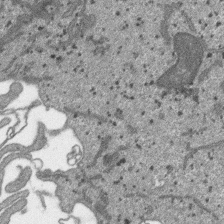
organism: Human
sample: Lung epithelial cells infected with SARS-CoV-2